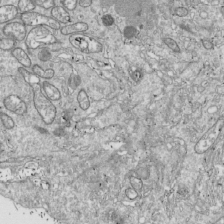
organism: Drosophila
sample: Cell division; meiosis; drosophila spermatocytes